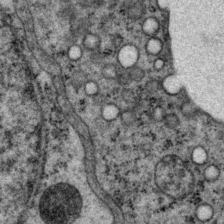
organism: P. pacificus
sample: Pharynx